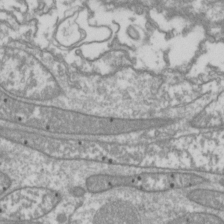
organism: Drosophila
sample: Cell division; meiosis; drosophila spermatocytes